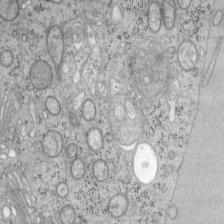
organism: Mouse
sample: OT-I killer T cells with ID8 ovarian cancer cells